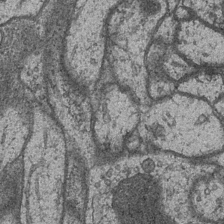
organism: Drosophila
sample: Optic medulla